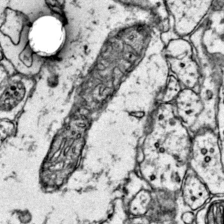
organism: Mouse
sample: Primary visual cortex